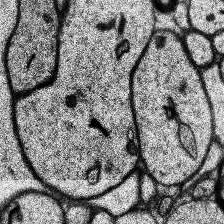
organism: Human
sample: Temporal Lobe